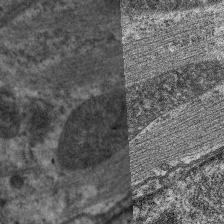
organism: C. elegans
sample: Pharynx